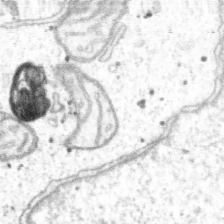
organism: Human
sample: HeLa cells